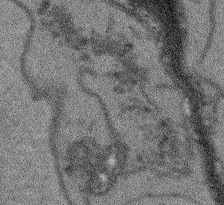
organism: Arabidopsis thaliana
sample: Root tip